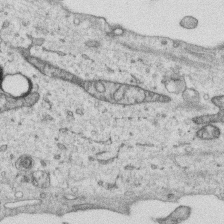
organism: Human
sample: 1205lu cells